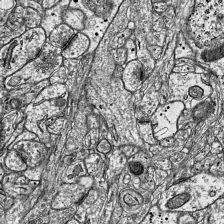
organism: Mouse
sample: Visual Cortex